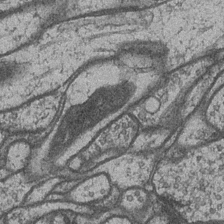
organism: Drosophila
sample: Optic medulla